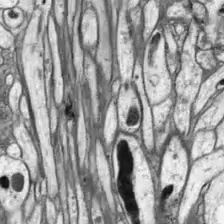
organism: Drosophila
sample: Optic lobe